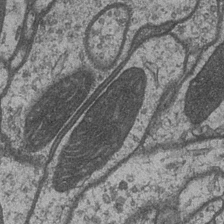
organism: Drosophila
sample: Optic medulla